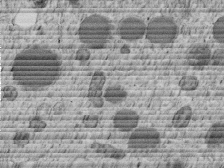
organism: C. elegans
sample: C. elegans embryo early stage